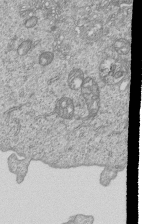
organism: Human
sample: MDA-MB-231 cells